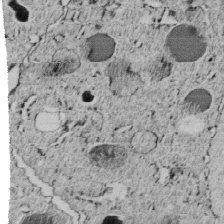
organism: C. elegans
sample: C. elegans embryo early stage